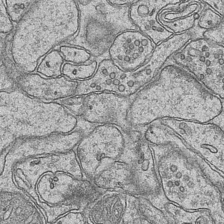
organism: Mouse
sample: CA1 Hippocampus